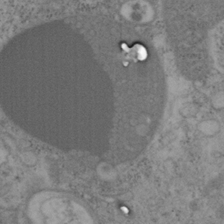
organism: Mouse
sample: OT-I killer T cells with ID8 ovarian cancer cells